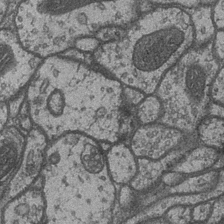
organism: Drosophila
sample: Optic medulla